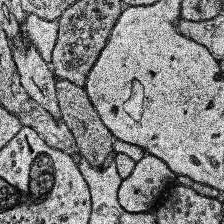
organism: Human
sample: Temporal Lobe